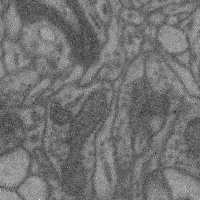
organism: Mouse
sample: Cerebral cortex